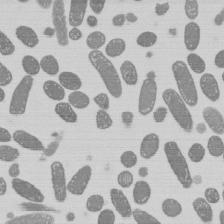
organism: E. coli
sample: Bacterial nucleoid